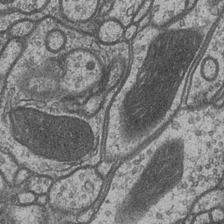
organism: Drosophila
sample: Optic medulla